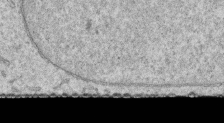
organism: Human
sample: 1205lu cells